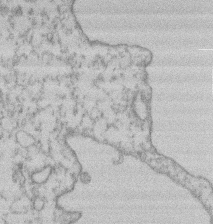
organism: Mouse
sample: T cell stromal cell synapse